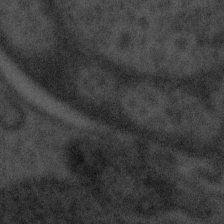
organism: Tuwongella immobilis